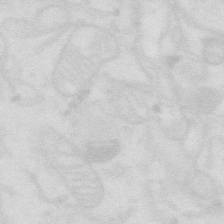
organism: Human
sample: HeLa cells